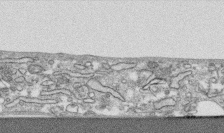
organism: Human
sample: CRL-1474